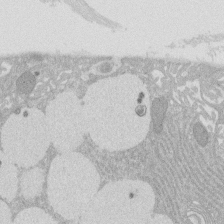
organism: Rat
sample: Salivary granule